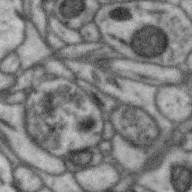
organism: Zebra finch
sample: Brain